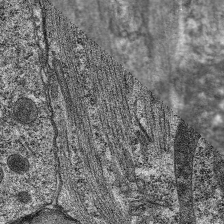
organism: C. elegans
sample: Pharynx